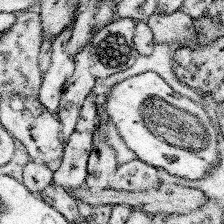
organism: Mouse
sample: Somatosensory cortex neuropil